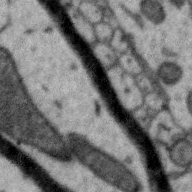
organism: Zebra finch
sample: Brain